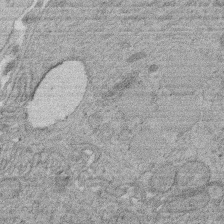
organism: Rat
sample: Salivary granule